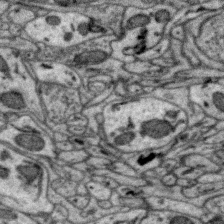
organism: Zebra finch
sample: Brain